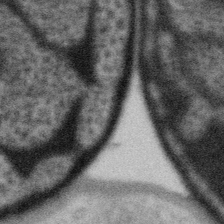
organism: Gemmata obscuriglobus